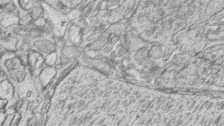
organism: Zebrafish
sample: synaptic ribbons in rod cells and cone cells